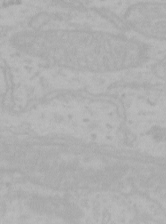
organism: Mouse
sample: Choroid plexus